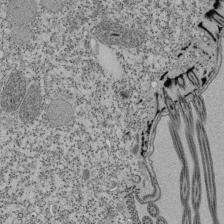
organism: Tetrahymena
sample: Cilia in tetrahymena